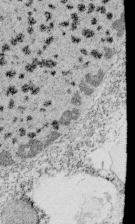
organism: Tetrahymena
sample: Cilia in tetrahymena